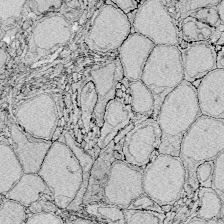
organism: Zebrafish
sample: Whole-Brain